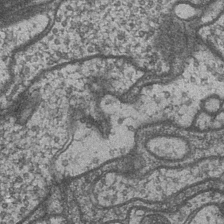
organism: Drosophila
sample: Optic medulla